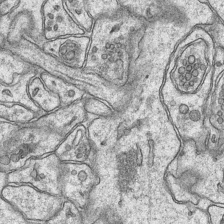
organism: Mouse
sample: CA1 Hippocampus